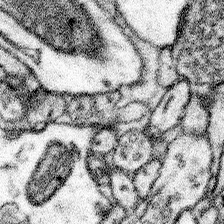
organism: Mouse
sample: Somatosensory cortex neuropil